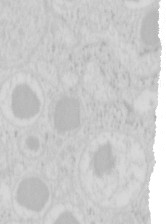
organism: Mouse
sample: Pancreas